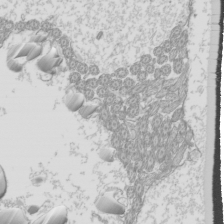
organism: Mouse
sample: Cilia; mouse epididymis